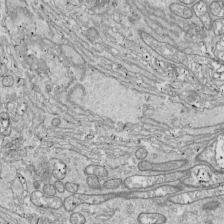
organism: Drosophila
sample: Cell division; meiosis; drosophila spermatocytes